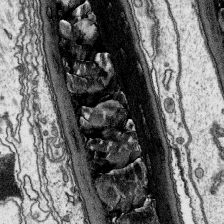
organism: Platynereis dumerilii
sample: Parapodia